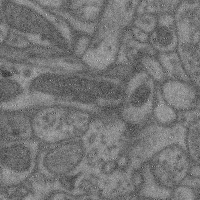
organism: Mouse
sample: Cerebral cortex